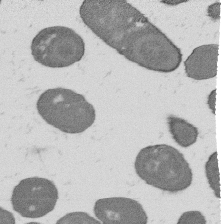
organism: B. subtilis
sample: Bacterial spore